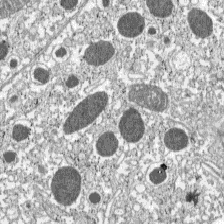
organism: C57BL Mouse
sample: Pancreatic islet